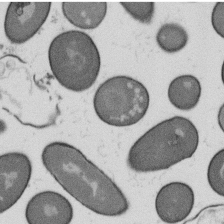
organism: B. subtilis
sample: Bacterial spore